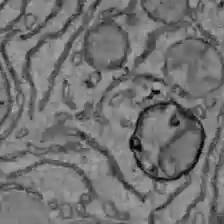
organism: C57BL Mouse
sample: Liver